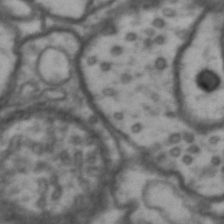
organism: Drosophila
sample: Brain